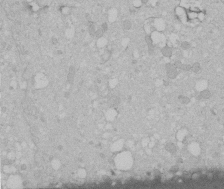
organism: Human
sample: Melanocyte Keratinocyte synapse skin construct